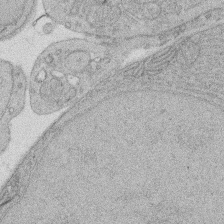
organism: Rat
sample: Salivary granule